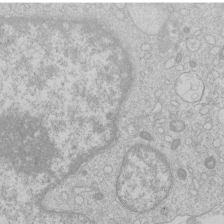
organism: Human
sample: Macrophage cells